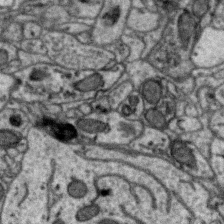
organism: Zebra finch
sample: Brain